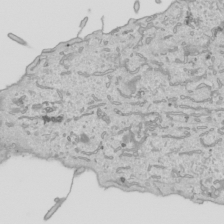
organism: Human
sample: Mitochondria in HCT116 cells